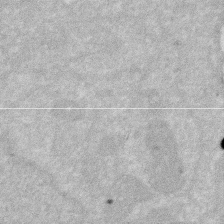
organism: Human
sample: HIV infected U937 cells